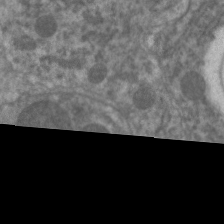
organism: C. elegans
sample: Pharynx